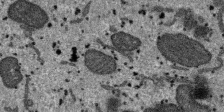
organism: Human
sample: Lung epithelial cells, uninfected (mock) control